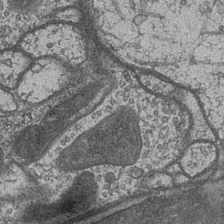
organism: Drosophila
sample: Optic medulla